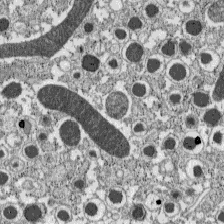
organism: C57BL Mouse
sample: Pancreatic islet